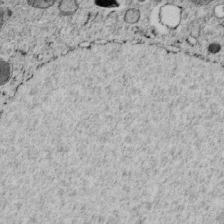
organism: C. elegans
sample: C. elegans embryo early stage